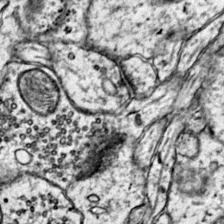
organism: Mouse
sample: Primary visual cortex